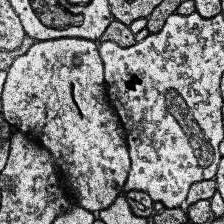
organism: Human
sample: Temporal Lobe